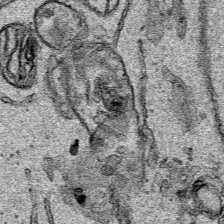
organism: Human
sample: Mitochondria in HCT116 cells